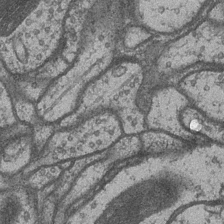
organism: Drosophila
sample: Optic medulla